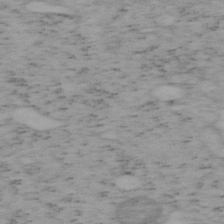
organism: Mouse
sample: OT-I killer T cells with ID8 ovarian cancer cells